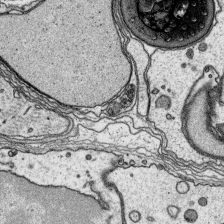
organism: Platynereis dumerilii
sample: Parapodia